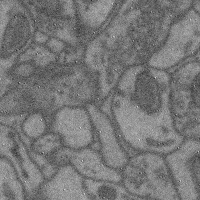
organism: Mouse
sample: Cerebral cortex